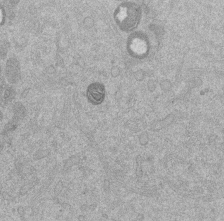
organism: Mouse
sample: Dividing mouse embryo 1 cell stage